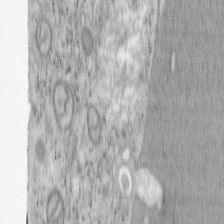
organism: Human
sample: HeLa cells